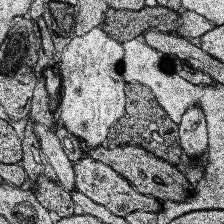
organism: Human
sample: Temporal Lobe